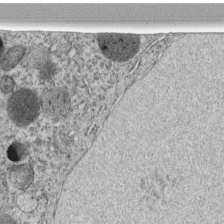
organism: C. elegans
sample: C. elegans embryo early stage